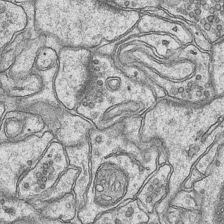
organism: Mouse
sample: CA1 Hippocampus